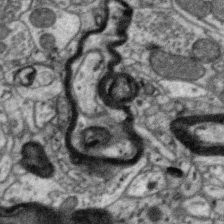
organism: Zebra finch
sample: Brain